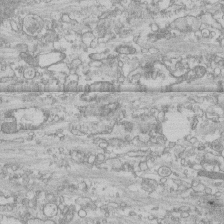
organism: Human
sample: CRL-1474